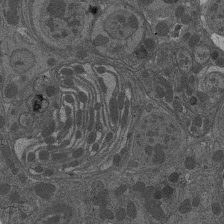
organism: Drosophila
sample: Antenna